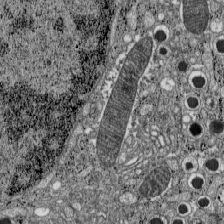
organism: C57BL Mouse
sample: Pancreatic islet